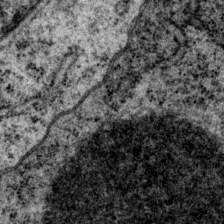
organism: P. pacificus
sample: Pharynx